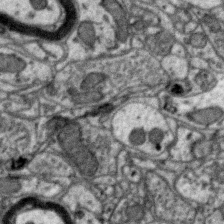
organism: Zebra finch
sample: Brain